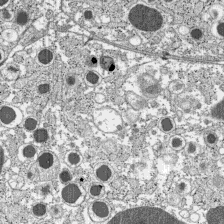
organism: C57BL Mouse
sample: Pancreatic islet